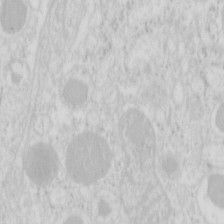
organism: Mouse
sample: Pancreas